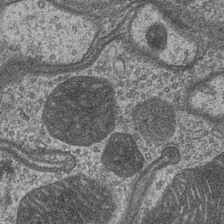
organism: Drosophila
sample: Optic medulla